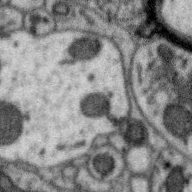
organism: Zebra finch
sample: Brain